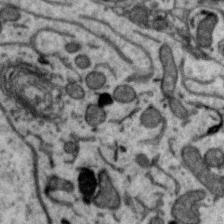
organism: Zebra finch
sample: Brain